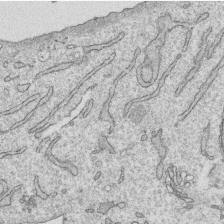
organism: Human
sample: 1205lu cells